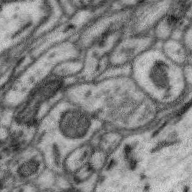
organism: Zebra finch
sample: Brain